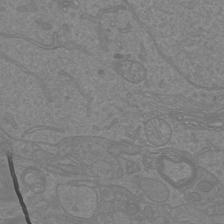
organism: Mouse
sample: Cortical neurons